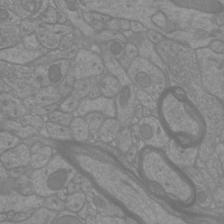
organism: Mouse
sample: Cortical neurons